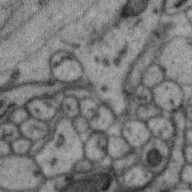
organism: Zebra finch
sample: Brain